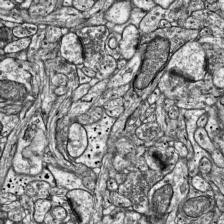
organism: Mouse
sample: Visual Cortex